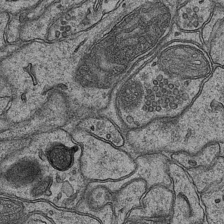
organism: Mouse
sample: CA1 Hippocampus